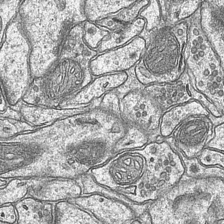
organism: Mouse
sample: CA1 Hippocampus